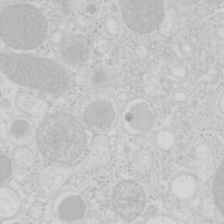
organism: Mouse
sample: Pancreas